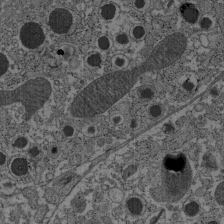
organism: C57BL Mouse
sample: Pancreatic islet